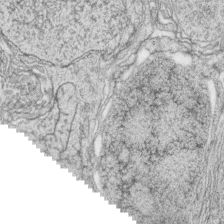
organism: Zebrafish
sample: synaptic ribbons in rod cells and cone cells